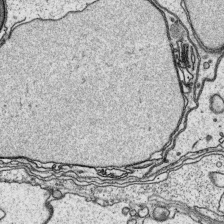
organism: Platynereis dumerilii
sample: Parapodia